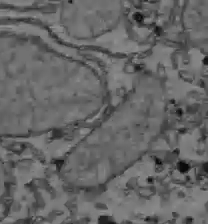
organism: C57BL Mouse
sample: Liver